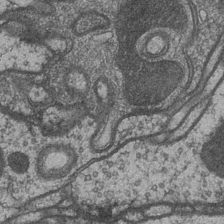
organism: Drosophila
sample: Optic medulla